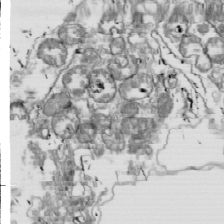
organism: Drosophila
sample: Cell division; meiosis; drosophila spermatocytes